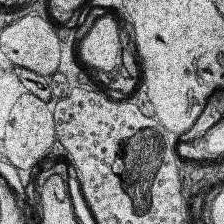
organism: Human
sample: Temporal Lobe